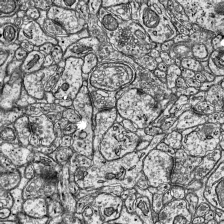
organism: Mouse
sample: Visual Cortex